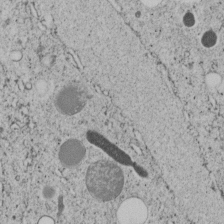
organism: C. elegans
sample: C. elegans embryo early stage